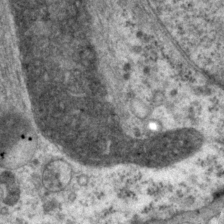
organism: P. pacificus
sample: Pharynx